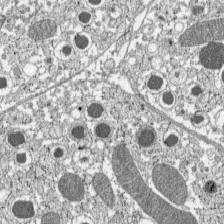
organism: C57BL Mouse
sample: Pancreatic islet